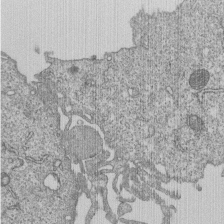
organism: Human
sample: MDA-MB-231 cells